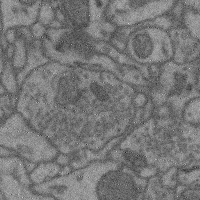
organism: Mouse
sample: Cerebral cortex